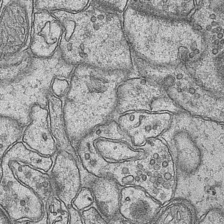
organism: Mouse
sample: CA1 Hippocampus